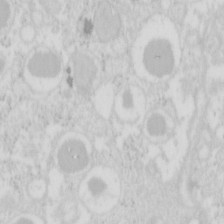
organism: Mouse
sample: Pancreas